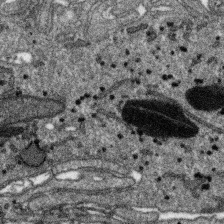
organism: Human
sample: Lung epithelial cells infected with SARS-CoV-2